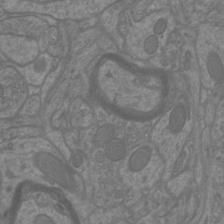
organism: Mouse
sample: Cortical neurons